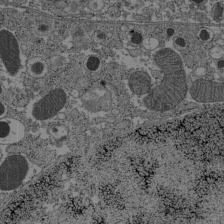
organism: C57BL Mouse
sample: Pancreatic islet